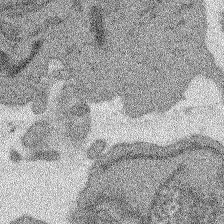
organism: Human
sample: HeLa cells